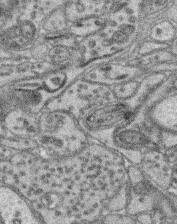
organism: Mouse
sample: Retina